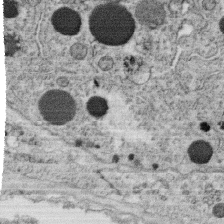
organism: C. elegans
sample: C. elegans oocyte; sperm cells